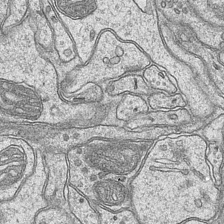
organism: Mouse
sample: CA1 Hippocampus